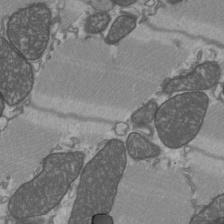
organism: C57BL Mouse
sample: Heart